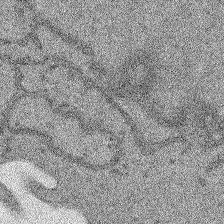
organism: Human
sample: HeLa cells